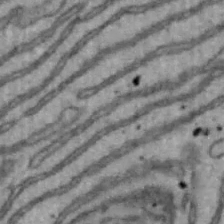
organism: Mouse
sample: Liver